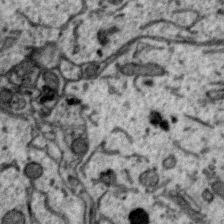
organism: Zebra finch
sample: Brain